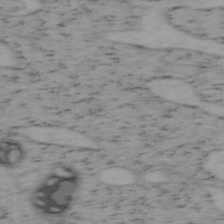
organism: Mouse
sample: OT-I killer T cells with ID8 ovarian cancer cells